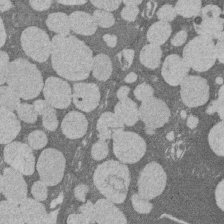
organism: Rat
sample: Salivary granule